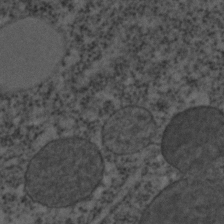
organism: C. elegans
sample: C. elegans embryo